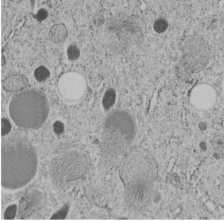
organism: C. elegans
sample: C. elegans embryo early stage